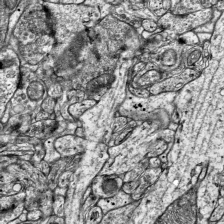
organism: Mouse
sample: Visual Cortex